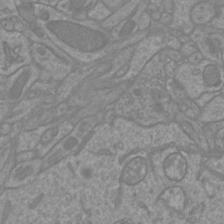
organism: Mouse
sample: Cortical neurons